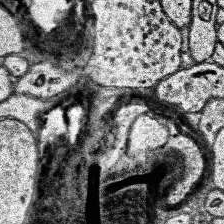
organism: Human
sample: Temporal Lobe